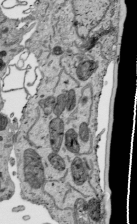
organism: Human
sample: Mitochondria in HCT116 cells